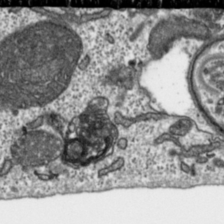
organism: Toxoplasma gondii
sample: Parasites in a vacuole inside a host cell